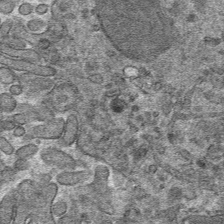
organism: Mouse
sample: Mouse hepatocytes